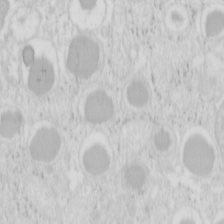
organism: Mouse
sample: Pancreas